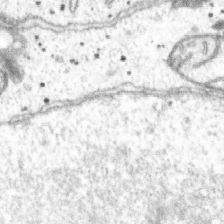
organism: Human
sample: HeLa cells